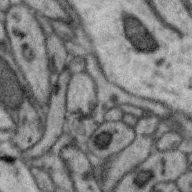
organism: Zebra finch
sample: Brain